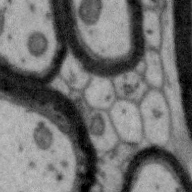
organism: Zebra finch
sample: Brain